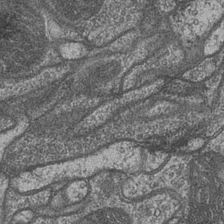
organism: Drosophila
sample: Optic medulla